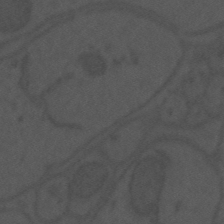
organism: Mouse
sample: Suprachiasmatic nucleus